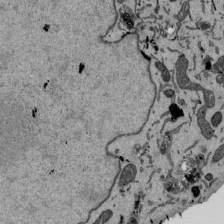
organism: Mouse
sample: ED-1 cell nuclei; centrioles